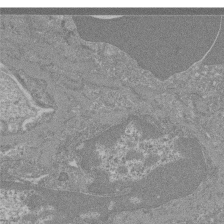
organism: Mouse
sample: Glomerulus